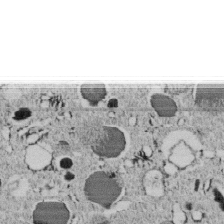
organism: C. elegans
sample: C. elegans embryo early stage